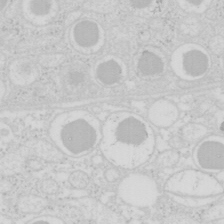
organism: Mouse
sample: Pancreas